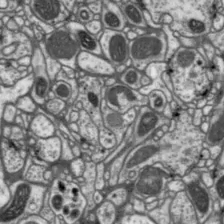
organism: Drosophila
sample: Protocerebral bridge